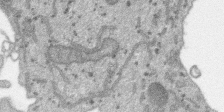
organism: Human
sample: Lung epithelial cells infected with SARS-CoV-2